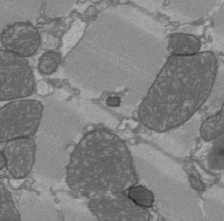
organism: C57BL Mouse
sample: Heart